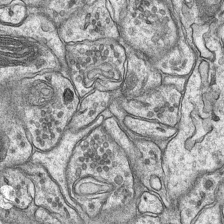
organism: Mouse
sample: CA1 Hippocampus